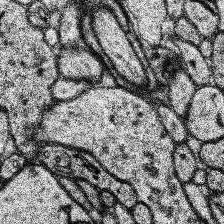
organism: Human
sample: Temporal Lobe